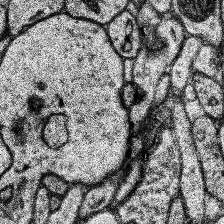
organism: Human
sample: Temporal Lobe